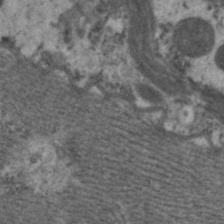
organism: C. elegans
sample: Pharynx